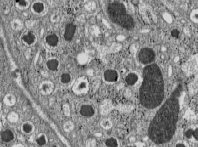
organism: C57BL Mouse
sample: Pancreatic islet